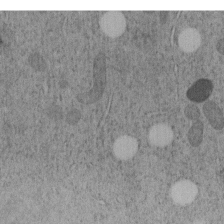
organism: C. elegans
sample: C. elegans embryo early stage